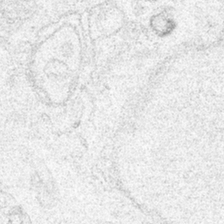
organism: Human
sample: Mitochondria in HCT116 cells